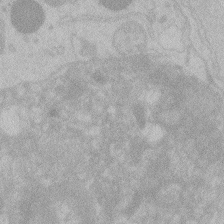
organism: Zebrafish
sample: Macrophage infected with Toxoplasma gondii